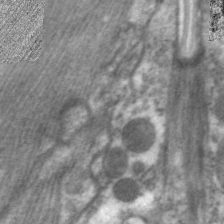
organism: C. elegans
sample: Pharynx